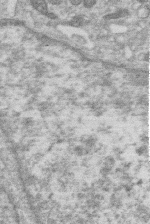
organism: Human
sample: Macrophage cells